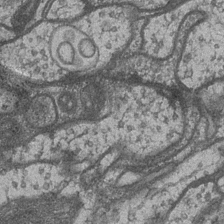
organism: Drosophila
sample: Optic medulla